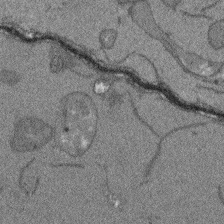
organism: Arabidopsis thaliana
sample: Root tip